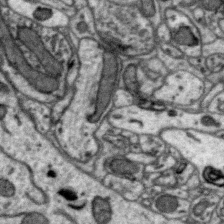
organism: Zebra finch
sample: Brain